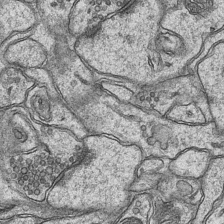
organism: Mouse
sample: CA1 Hippocampus